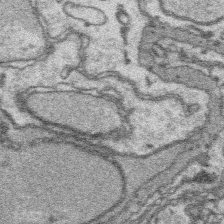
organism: Platynereis dumerilii